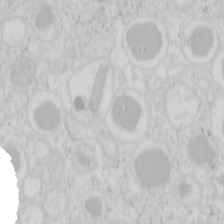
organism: Mouse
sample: Pancreas